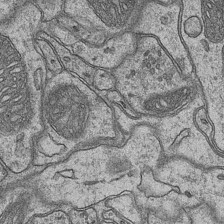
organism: Mouse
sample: CA1 Hippocampus